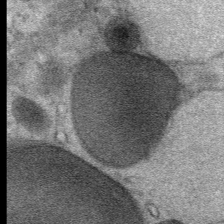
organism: Mouse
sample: Mouse Salivary gland